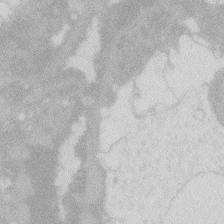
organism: Zebrafish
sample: Macrophage